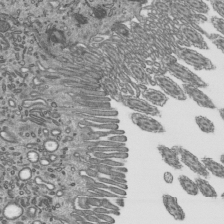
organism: Mouse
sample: Mouse epididymis efferent ductule cilia